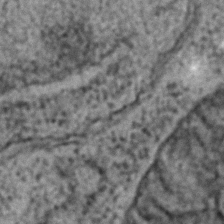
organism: C. elegans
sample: C. elegans embryo